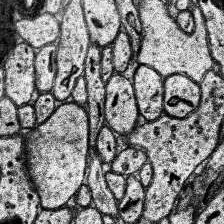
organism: Human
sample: Temporal Lobe